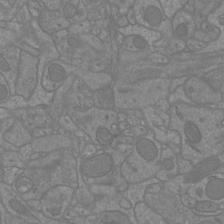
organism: Mouse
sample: Cortical neurons